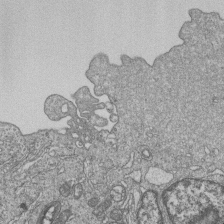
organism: Human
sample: MDA-MB-231 cells